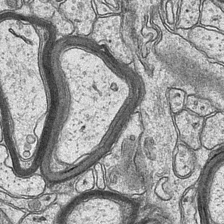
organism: Mouse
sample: CA1 Hippocampus